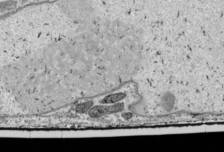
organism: Human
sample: Mitochondria in HCT116 cells